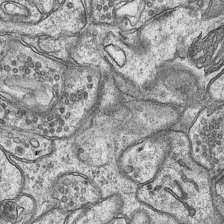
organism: Mouse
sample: CA1 Hippocampus